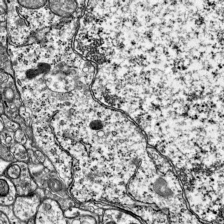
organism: Mouse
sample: Visual Cortex